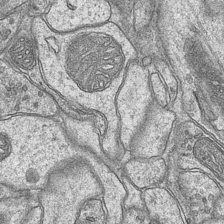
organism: Mouse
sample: CA1 Hippocampus